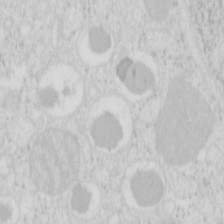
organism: Mouse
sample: Pancreas